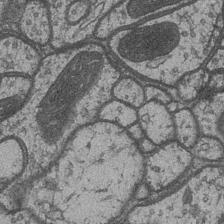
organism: Drosophila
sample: Optic medulla